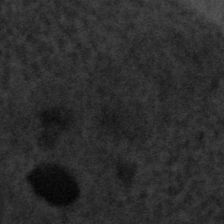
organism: Tuwongella immobilis